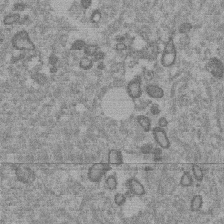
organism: Mouse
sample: Dividing mouse embryo 1 cell stage